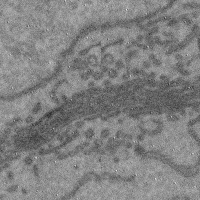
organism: Mouse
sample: Cerebral cortex